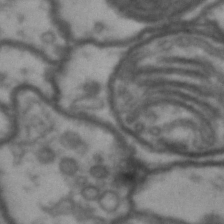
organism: Drosophila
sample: Brain